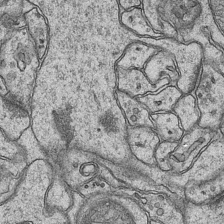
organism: Mouse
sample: CA1 Hippocampus